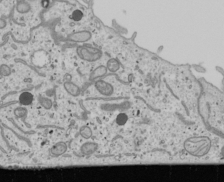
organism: Human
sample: Mitochondria in U2OS cells